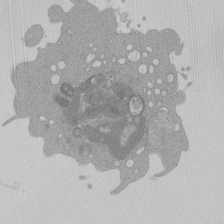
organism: Mouse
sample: Activated Pmel transgenic CD8+ T Cells